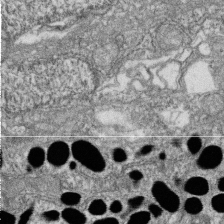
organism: Zebrafish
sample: Cilia; retinal pigment epithelium